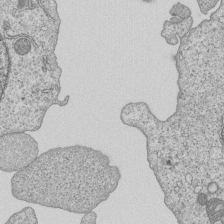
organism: Human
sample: MDA-MB-231 cells